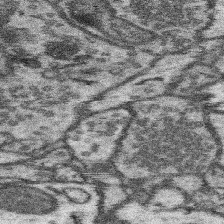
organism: Mouse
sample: Somatosensory cortex neuropil